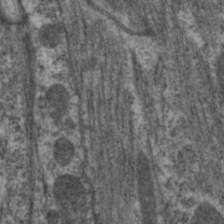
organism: C. elegans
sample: Pharynx